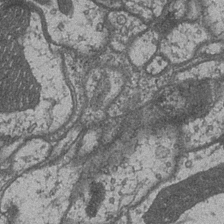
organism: Drosophila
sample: Optic medulla